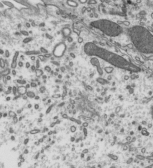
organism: Mouse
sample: Mouse epididymis efferent ductule cilia